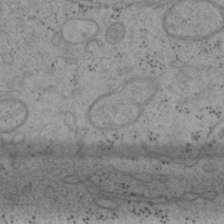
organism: Human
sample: HeLa cells